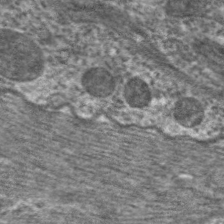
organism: C. elegans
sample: Pharynx